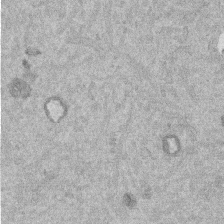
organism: Mouse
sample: Dividing mouse embryo 1 cell stage